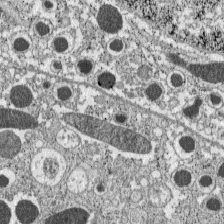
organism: C57BL Mouse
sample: Pancreatic islet